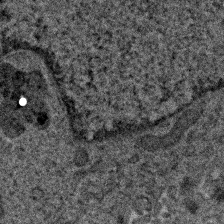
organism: Human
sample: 1205lu cells